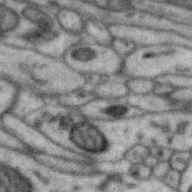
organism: Zebra finch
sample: Brain